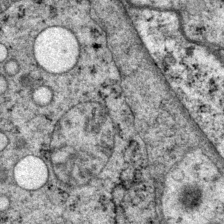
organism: P. pacificus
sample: Pharynx